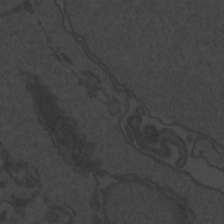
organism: Zebrafish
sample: Macrophage infected with Toxoplasma gondii